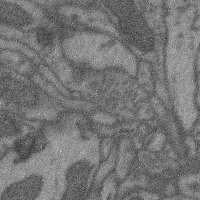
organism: Mouse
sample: Cerebral cortex